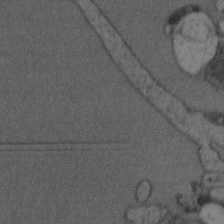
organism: Human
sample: HeLa cells